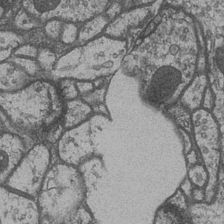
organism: Drosophila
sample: Optic medulla